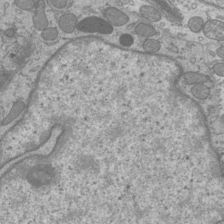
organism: Mouse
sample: Cilia; mouse epididymis